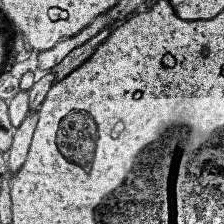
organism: Human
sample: Temporal Lobe